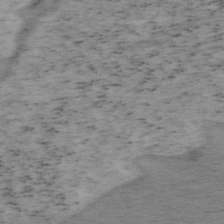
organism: Mouse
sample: OT-I killer T cells with ID8 ovarian cancer cells